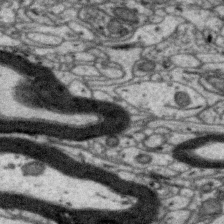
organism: Zebra finch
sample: Brain